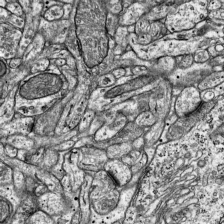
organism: Mouse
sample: Visual Cortex